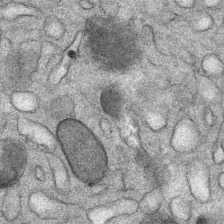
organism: Mouse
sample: Mouse Salivary gland